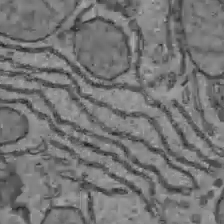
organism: C57BL Mouse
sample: Liver